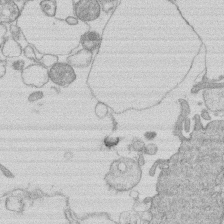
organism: Human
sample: Macrophage cells